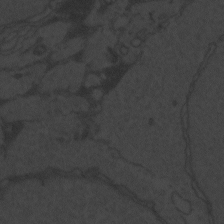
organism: Zebrafish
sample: Macrophage infected with Toxoplasma gondii